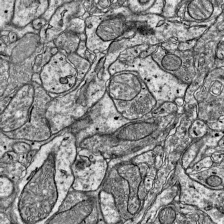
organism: Mouse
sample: Visual Cortex